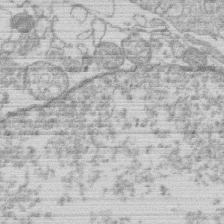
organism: Human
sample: Macrophage cells